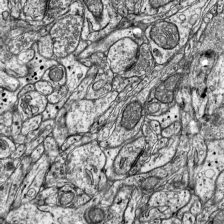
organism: Mouse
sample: Visual Cortex